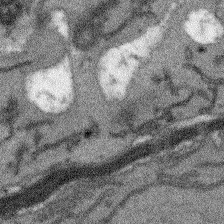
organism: Arabidopsis thaliana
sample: Root tip